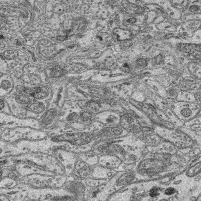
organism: Mouse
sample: Retina